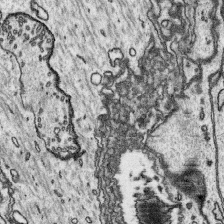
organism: Platynereis dumerilii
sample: Parapodia